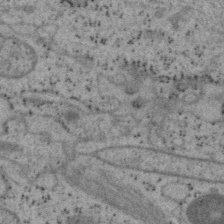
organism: Human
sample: HeLa cells